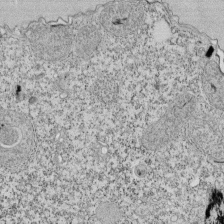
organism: Tetrahymena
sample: Cilia in tetrahymena